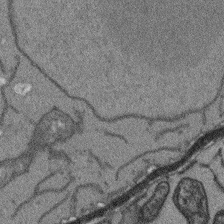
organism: Arabidopsis thaliana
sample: Root tip